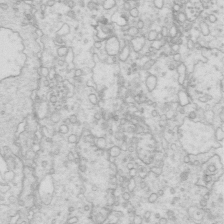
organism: Mouse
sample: Multiciliated cells